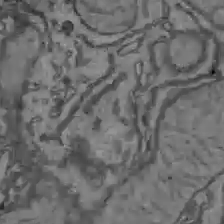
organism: C57BL Mouse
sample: Liver